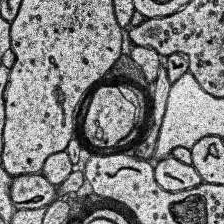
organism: Human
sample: Temporal Lobe